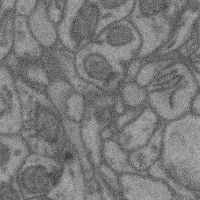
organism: Mouse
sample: Cerebral cortex